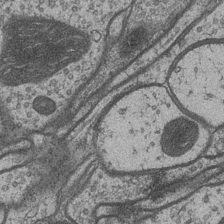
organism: Drosophila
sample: Optic medulla